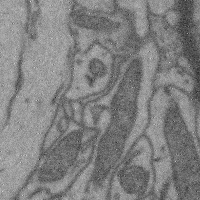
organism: Mouse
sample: Cerebral cortex